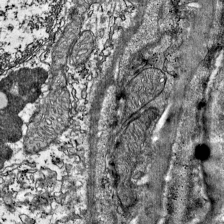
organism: Mouse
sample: Visual Cortex